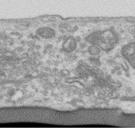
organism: Human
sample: Centriole in RPE cells